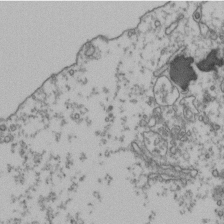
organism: Human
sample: Activated Jurkat CD4+ T cells